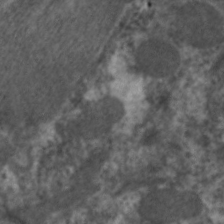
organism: C. elegans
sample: Pharynx